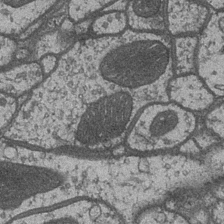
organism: Drosophila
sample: Optic medulla